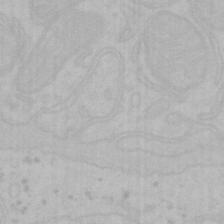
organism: Mouse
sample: Choroid plexus